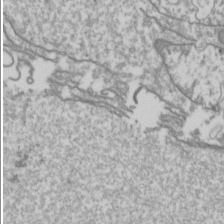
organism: Drosophila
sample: Cell division; meiosis; drosophila spermatocytes